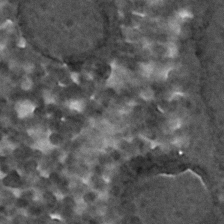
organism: C. elegans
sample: C. elegans embryo